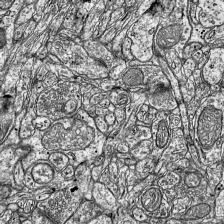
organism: Mouse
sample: Visual Cortex